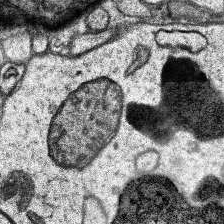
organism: Human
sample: Temporal Lobe